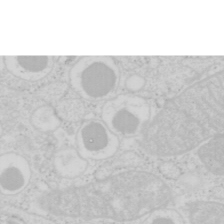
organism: Mouse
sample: Pancreas